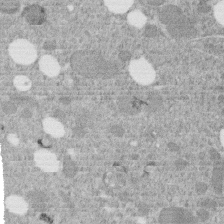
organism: C. elegans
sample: C. elegans embryo early stage